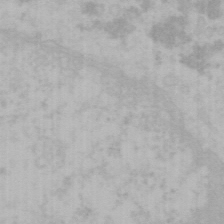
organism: Mouse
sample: Choroid plexus